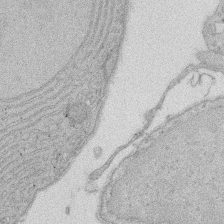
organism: Rat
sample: Salivary granule